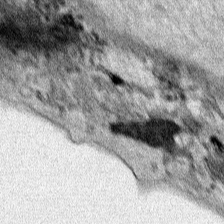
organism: Human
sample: Mitochondria in HCT116 cells